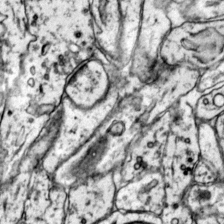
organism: Mouse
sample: Primary visual cortex